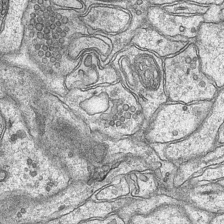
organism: Mouse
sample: CA1 Hippocampus